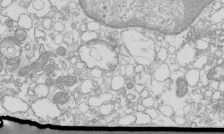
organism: Mouse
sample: Macrophages